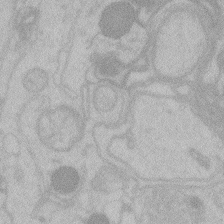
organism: Zebrafish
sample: Macrophage infected with Toxoplasma gondii